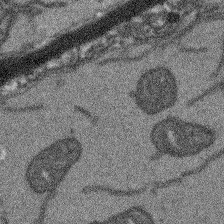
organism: Arabidopsis thaliana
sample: Root tip